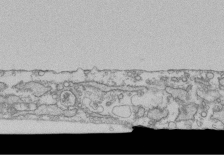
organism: Human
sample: Fibroblast cells